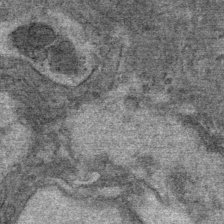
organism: Mouse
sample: Mouse Salivary gland